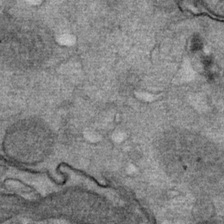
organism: Mouse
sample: Mouse Salivary gland